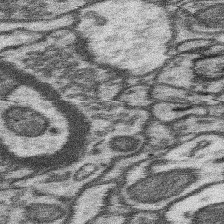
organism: Mouse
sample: Somatosensory cortex neuropil